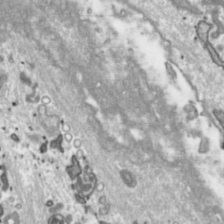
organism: Toxoplasma gondii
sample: Parasites in a vacuole inside a host cell